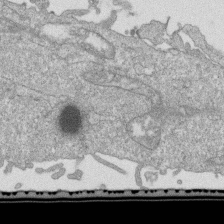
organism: Human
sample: HeLa cell HIV synapse